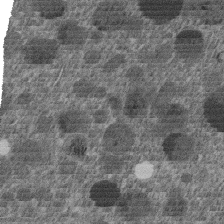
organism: C. elegans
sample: C. elegans embryo early stage